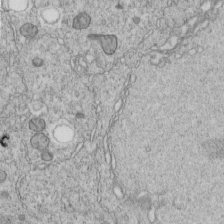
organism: C. elegans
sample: C. elegans embryo early stage